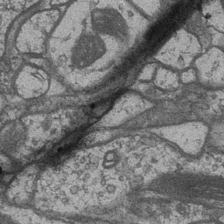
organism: Drosophila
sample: Optic medulla